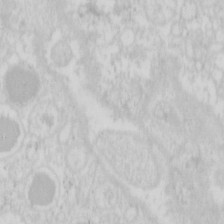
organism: Mouse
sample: Pancreas